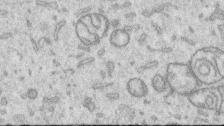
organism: Human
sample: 1205lu cells